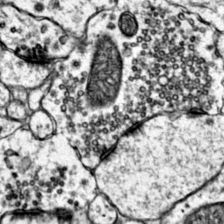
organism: Mouse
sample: Primary visual cortex